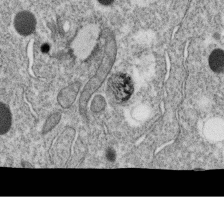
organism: C. elegans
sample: C. elegans oocyte; sperm cells